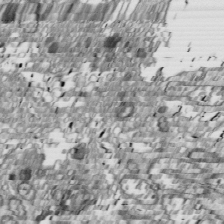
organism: Drosophila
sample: Cell division; meiosis; drosophila spermatocytes